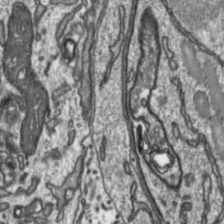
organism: Toxoplasma gondii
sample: Parasites in a vacuole inside a host cell